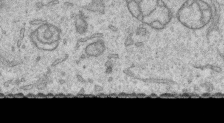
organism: Human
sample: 1205lu cells